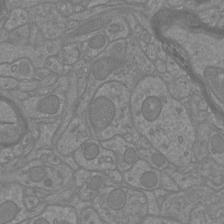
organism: Mouse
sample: Cortical neurons